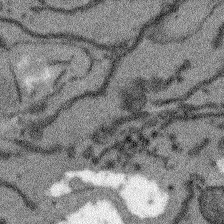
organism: Arabidopsis thaliana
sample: Root tip